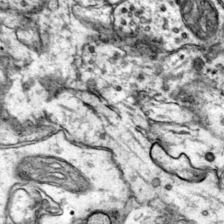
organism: Mouse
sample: Primary visual cortex